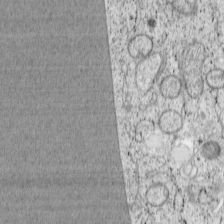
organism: African green monkey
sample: COS-7 cells